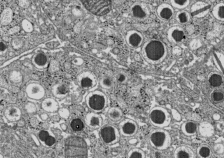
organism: C57BL Mouse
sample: Pancreatic islet